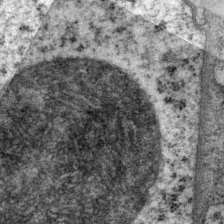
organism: P. pacificus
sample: Pharynx